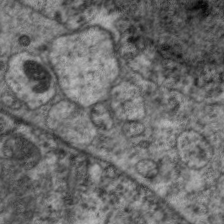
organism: C. elegans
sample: Pharynx